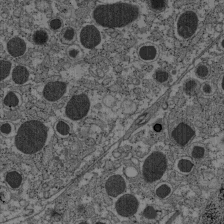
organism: C57BL Mouse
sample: Pancreatic islet